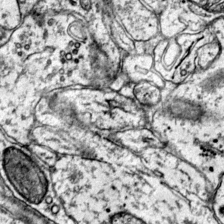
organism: Mouse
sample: Primary visual cortex